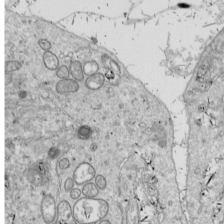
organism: Drosophila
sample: Cell division; meiosis; drosophila spermatocytes